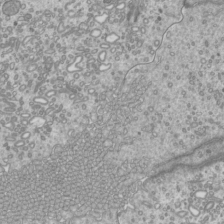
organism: Mouse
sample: Cilia; mouse epididymis